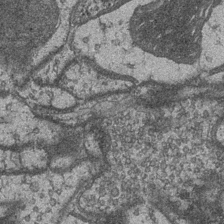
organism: Drosophila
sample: Optic medulla